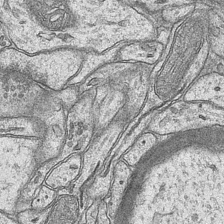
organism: Mouse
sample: CA1 Hippocampus